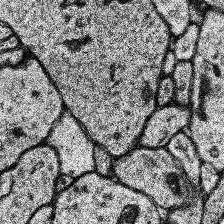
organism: Human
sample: Temporal Lobe